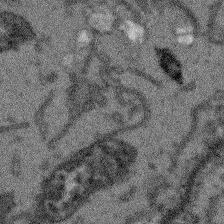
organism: Arabidopsis thaliana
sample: Root tip